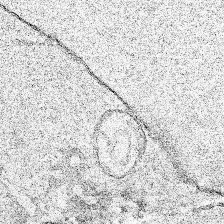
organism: Human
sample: Mitochondria in HCT116 cells